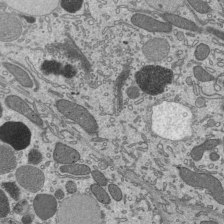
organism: Mouse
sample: Mouse epididymis efferent ductule cilia